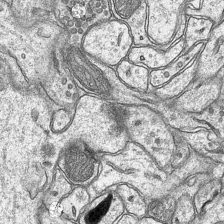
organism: Mouse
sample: CA1 Hippocampus